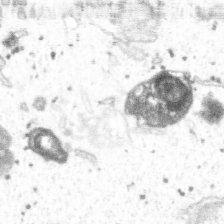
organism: Human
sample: HeLa cells